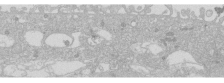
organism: Human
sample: Caco-2 cells